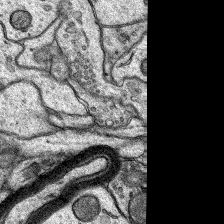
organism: Rat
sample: Hippocampus